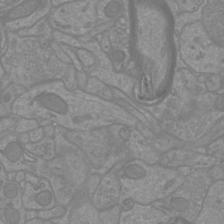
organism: Mouse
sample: Cortical neurons